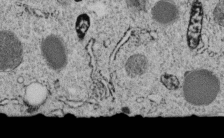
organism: C. elegans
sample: C. elegans embryo early stage